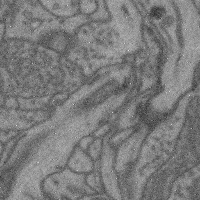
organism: Mouse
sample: Cerebral cortex